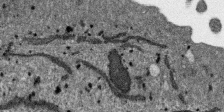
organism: Human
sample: Lung epithelial cells, uninfected (mock) control